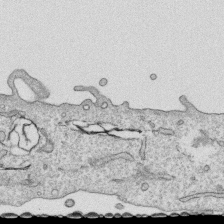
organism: Human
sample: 1205lu cells